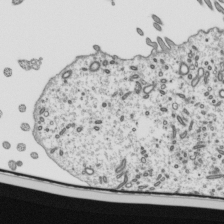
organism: Mouse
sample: Mouse epididymis efferent ductule cilia